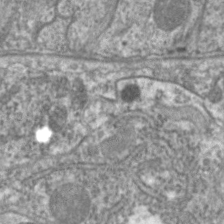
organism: C. elegans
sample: Pharynx